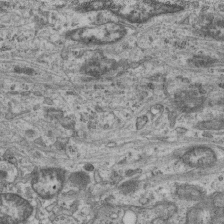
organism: Mouse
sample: Centriole in ependymal cells